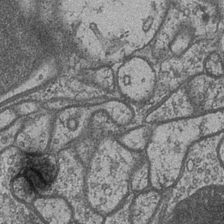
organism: Drosophila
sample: Optic medulla